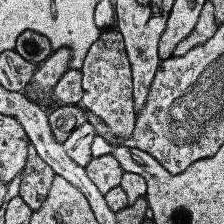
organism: Human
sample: Temporal Lobe